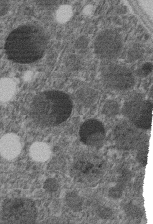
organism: C. elegans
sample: C. elegans embryo early stage